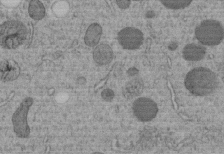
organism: C. elegans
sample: C. elegans embryo early stage